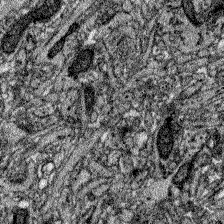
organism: Zebrafish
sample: Larval olfactory bulb